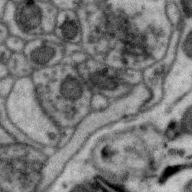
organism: Zebra finch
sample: Brain